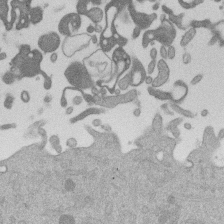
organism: Mouse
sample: Dividing mouse embryo 1 cell stage